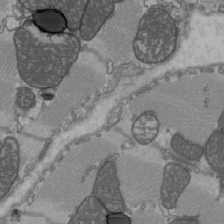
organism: C57BL Mouse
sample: Heart